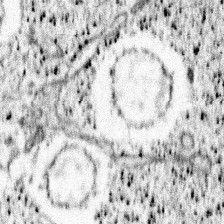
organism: Human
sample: HeLa cells